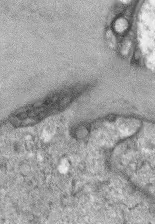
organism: Mouse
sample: Corneal nerves